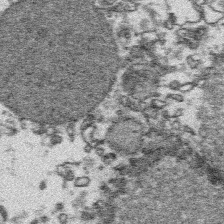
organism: Platynereis dumerilii